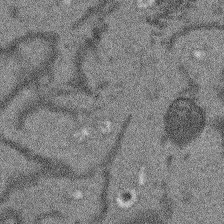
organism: Arabidopsis thaliana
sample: Root tip